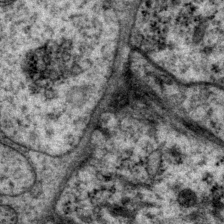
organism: P. pacificus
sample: Pharynx